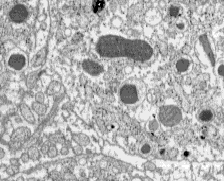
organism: C57BL Mouse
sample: Pancreatic islet